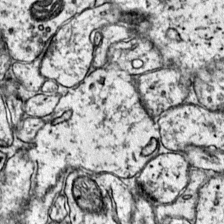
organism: Mouse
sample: Primary visual cortex